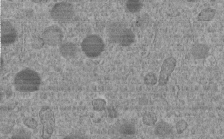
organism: C. elegans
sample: C. elegans embryo early stage